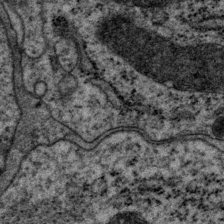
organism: P. pacificus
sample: Pharynx